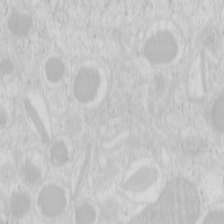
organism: Mouse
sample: Pancreas